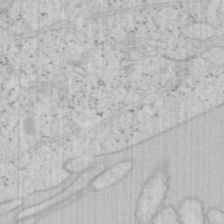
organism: Human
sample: HeLa cells